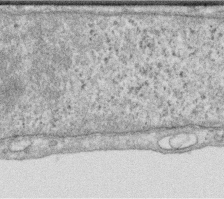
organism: Human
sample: Centriole in RPE cells